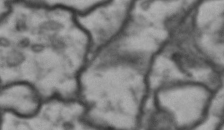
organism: Drosophila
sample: Brain